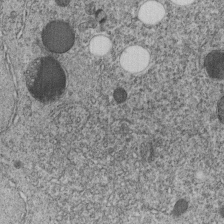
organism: C. elegans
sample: C. elegans embryo early stage